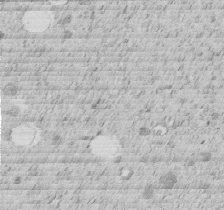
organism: C. elegans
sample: C. elegans embryo early stage